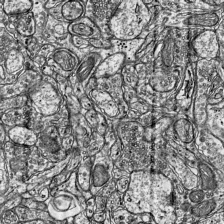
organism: Mouse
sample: Visual Cortex